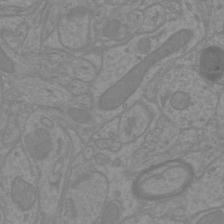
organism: Mouse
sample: Cortical neurons